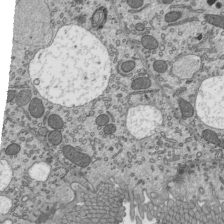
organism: Mouse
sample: Mouse epididymis efferent ductule cilia